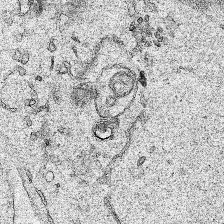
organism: Human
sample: Mitochondria in HCT116 cells